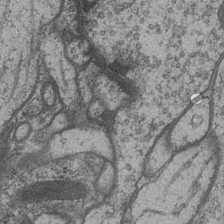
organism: Drosophila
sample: Optic medulla